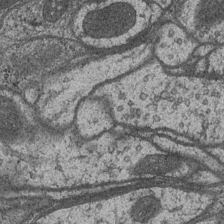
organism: Drosophila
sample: Optic medulla